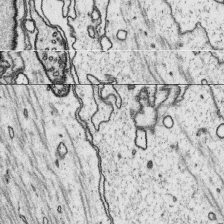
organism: Platynereis dumerilii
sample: Parapodia